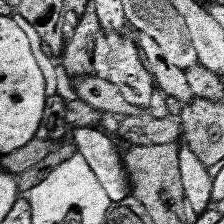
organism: Human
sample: Temporal Lobe